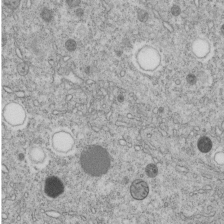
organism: C. elegans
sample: C. elegans embryo early stage